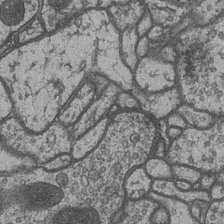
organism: Drosophila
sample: Optic medulla